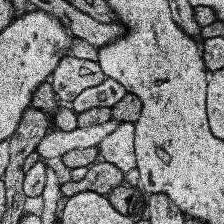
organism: Human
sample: Temporal Lobe